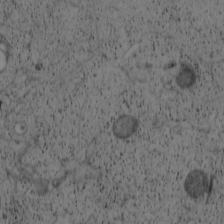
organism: African green monkey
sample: COS-7 cells